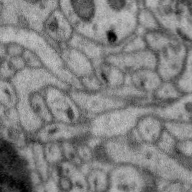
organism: Zebra finch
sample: Brain